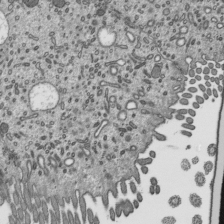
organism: Mouse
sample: Mouse epididymis efferent ductule cilia